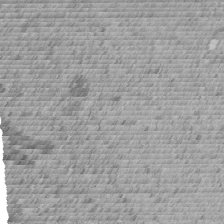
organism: C. elegans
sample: C. elegans embryo early stage